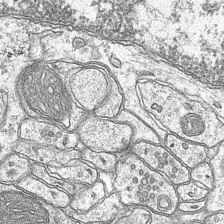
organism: Mouse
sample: CA1 Hippocampus